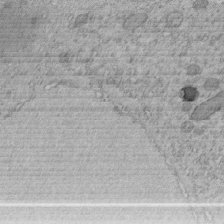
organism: C. elegans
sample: C. elegans embryo early stage